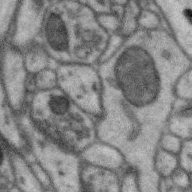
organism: Zebra finch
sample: Brain